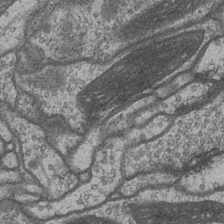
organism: Drosophila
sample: Optic medulla